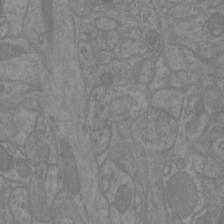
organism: Mouse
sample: Cortical neurons